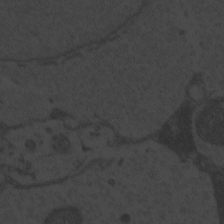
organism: Zebrafish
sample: Macrophage infected with Toxoplasma gondii